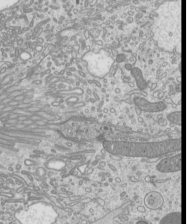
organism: Mouse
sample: Cilia; mouse epididymis